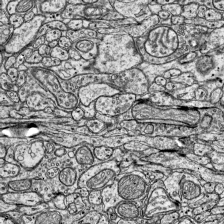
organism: Mouse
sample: Visual Cortex